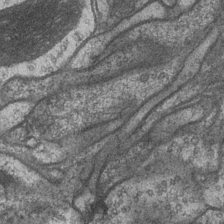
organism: Drosophila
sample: Optic medulla